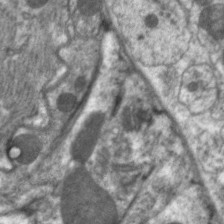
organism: C. elegans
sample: Pharynx